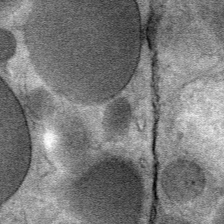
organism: Mouse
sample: Mouse Salivary gland